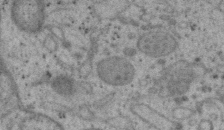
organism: Human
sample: HeLa cells